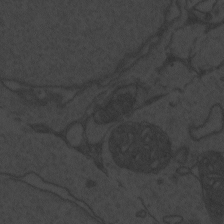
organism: Zebrafish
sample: Macrophage infected with Toxoplasma gondii